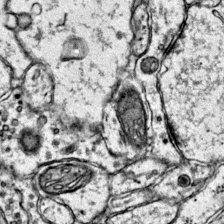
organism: Mouse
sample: Primary visual cortex